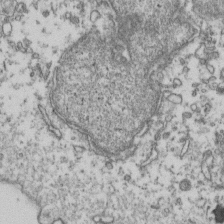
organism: Human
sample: Activated Jurkat CD4+ T cells